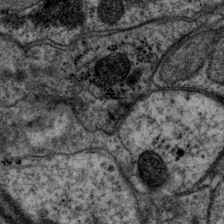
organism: P. pacificus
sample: Pharynx